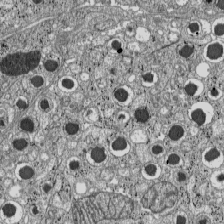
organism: C57BL Mouse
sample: Pancreatic islet